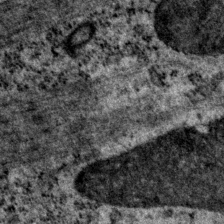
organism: P. pacificus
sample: Pharynx